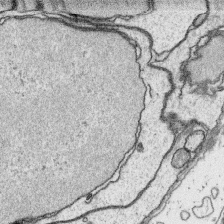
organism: Platynereis dumerilii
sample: Parapodia